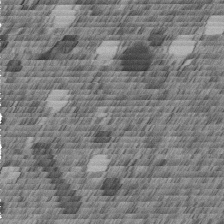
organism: C. elegans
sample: C. elegans embryo early stage